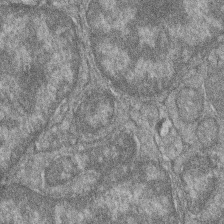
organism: Zebrafish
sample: Cilia; retinal pigment epithelium